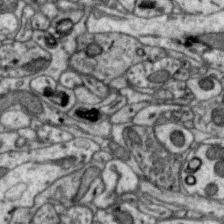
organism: Zebra finch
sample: Brain